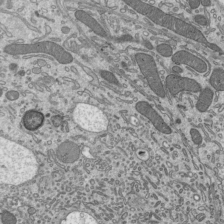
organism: Mouse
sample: Mouse epididymis efferent ductule cilia